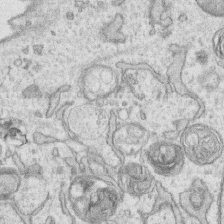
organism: Human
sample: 1205lu cells